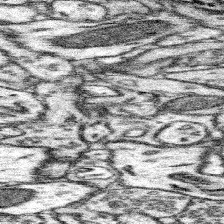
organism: Mouse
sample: Somatosensory cortex neuropil